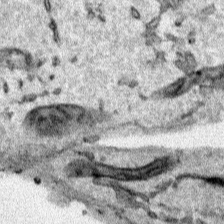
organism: Human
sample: Mitochondria in HCT116 cells